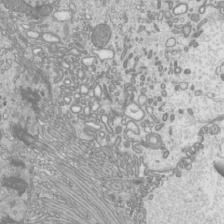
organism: Mouse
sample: Cilia; mouse epididymis